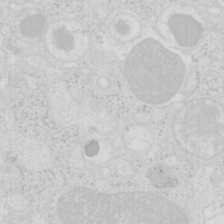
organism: Mouse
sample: Pancreas